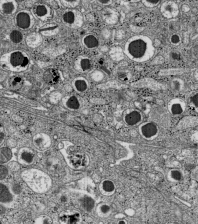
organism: C57BL Mouse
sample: Pancreatic islet